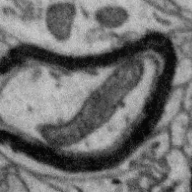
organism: Zebra finch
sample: Brain